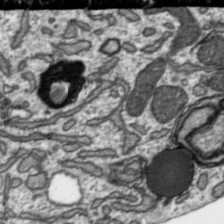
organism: Toxoplasma gondii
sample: Parasites in a vacuole inside a host cell